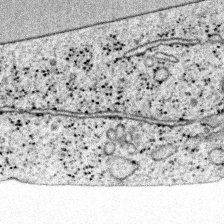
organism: Human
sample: HeLa cells